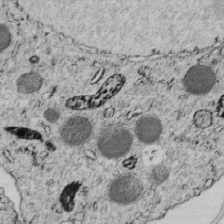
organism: C. elegans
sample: C. elegans embryo early stage